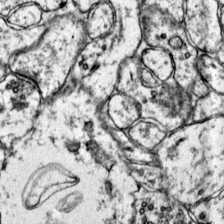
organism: Mouse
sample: Primary visual cortex